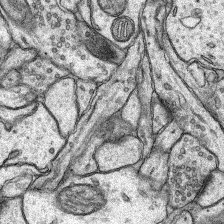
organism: Rat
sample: Hippocampus